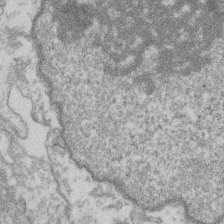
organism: Mouse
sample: T cell stromal cell synapse